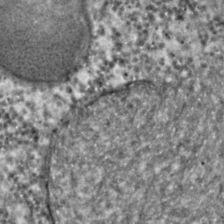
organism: C. elegans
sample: C. elegans embryo